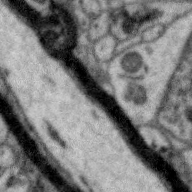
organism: Zebra finch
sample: Brain